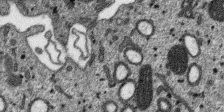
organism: Human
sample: Lung epithelial cells infected with SARS-CoV-2